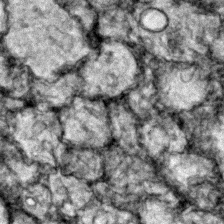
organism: Zebrafish